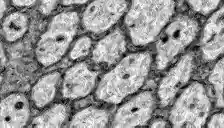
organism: Zebrafish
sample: Brain